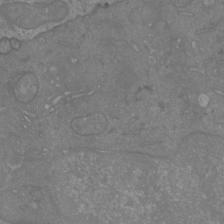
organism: Mouse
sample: Cortical neurons